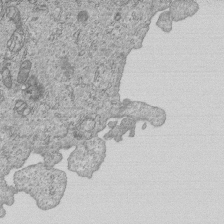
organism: Human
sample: MDA-MB-231 cells